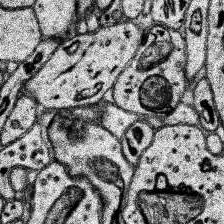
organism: Human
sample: Temporal Lobe